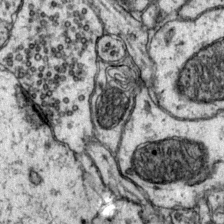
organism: Mouse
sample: Primary visual cortex